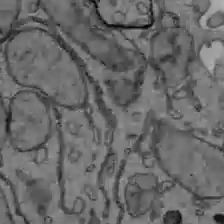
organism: C57BL Mouse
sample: Liver